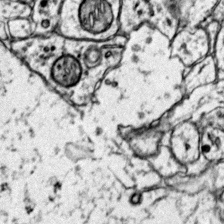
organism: Mouse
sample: Primary visual cortex